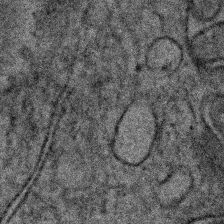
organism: Human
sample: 1205lu cells